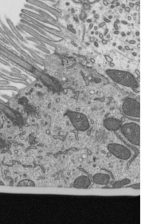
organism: Mouse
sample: Mouse epididymis efferent ductule cilia